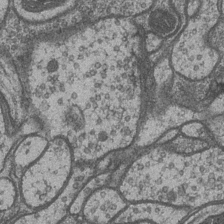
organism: Drosophila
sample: Optic medulla